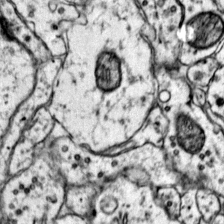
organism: Mouse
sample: Primary visual cortex